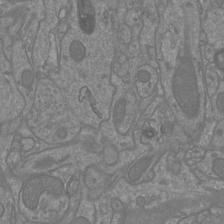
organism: Mouse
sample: Cortical neurons